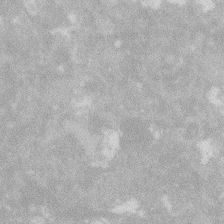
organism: Zebrafish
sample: Macrophage